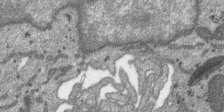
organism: Human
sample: Lung epithelial cells infected with SARS-CoV-2